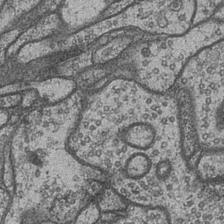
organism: Drosophila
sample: Optic medulla